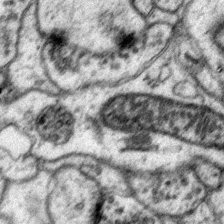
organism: Mouse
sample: Primary visual cortex